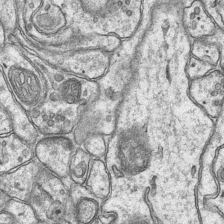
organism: Mouse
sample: CA1 Hippocampus